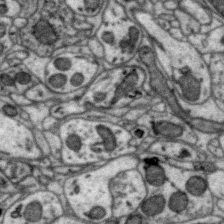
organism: Zebra finch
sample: Brain